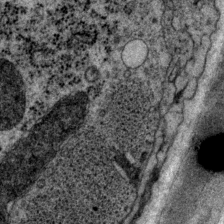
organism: P. pacificus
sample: Pharynx